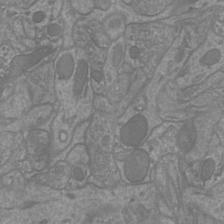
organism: Mouse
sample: Cortical neurons